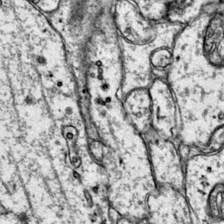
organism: Mouse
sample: Primary visual cortex